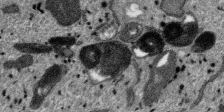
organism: Human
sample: Lung epithelial cells, uninfected (mock) control